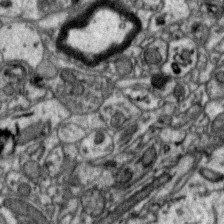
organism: Zebra finch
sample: Brain